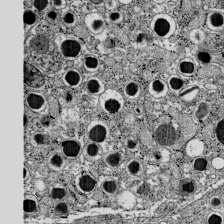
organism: C57BL Mouse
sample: Pancreatic islet